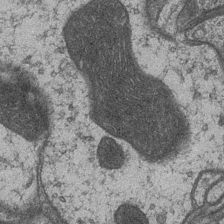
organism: Drosophila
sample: Optic medulla